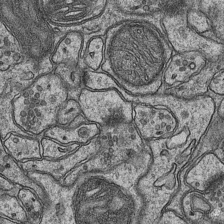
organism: Mouse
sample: CA1 Hippocampus